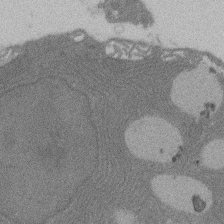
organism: Rat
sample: Salivary granule